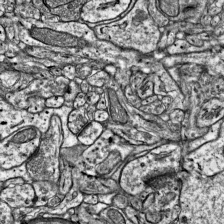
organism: Mouse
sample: Visual Cortex